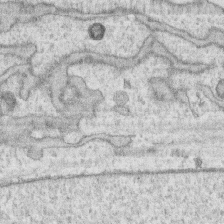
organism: Human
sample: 1205lu cells